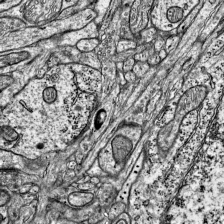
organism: Mouse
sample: Visual Cortex